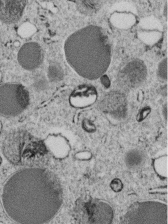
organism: C. elegans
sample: C. elegans embryo early stage